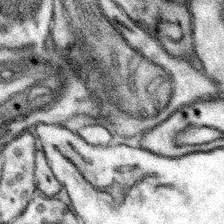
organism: Mouse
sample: Somatosensory cortex neuropil